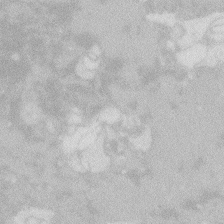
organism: Zebrafish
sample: Macrophage